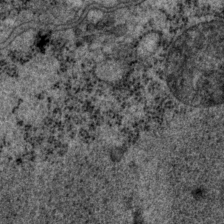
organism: P. pacificus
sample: Pharynx